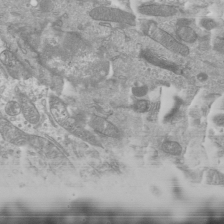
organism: Mouse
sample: Cilia; mouse epididymis